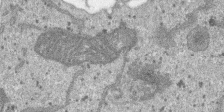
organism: Human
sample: Lung epithelial cells infected with SARS-CoV-2